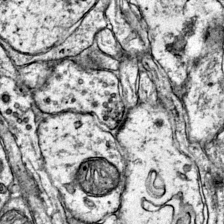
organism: Mouse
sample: Primary visual cortex